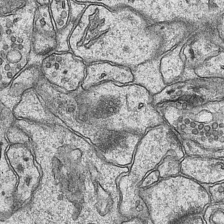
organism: Mouse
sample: CA1 Hippocampus